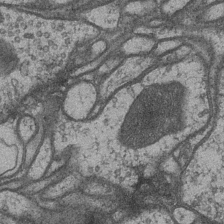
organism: Drosophila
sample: Optic medulla